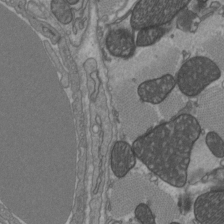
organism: C57BL Mouse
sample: Heart